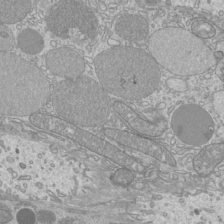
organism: Mouse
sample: Cilia; mouse epididymis